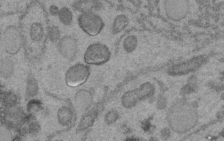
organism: C. elegans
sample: C. elegans embryo early stage